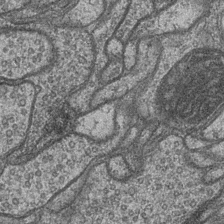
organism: Drosophila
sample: Optic medulla